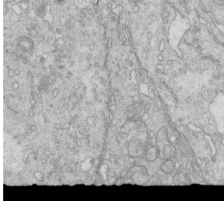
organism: Mouse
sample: Multiciliated cells